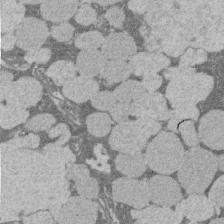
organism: Rat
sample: Salivary granule